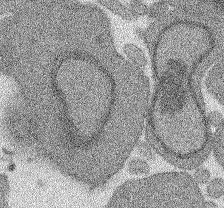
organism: Human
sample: HeLa cells